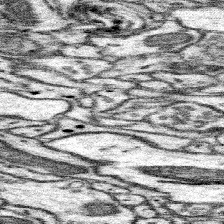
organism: Mouse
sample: Somatosensory cortex neuropil